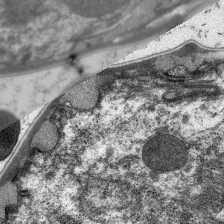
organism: C. elegans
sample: Pharynx